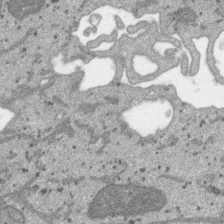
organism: Human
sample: Lung epithelial cells infected with SARS-CoV-2